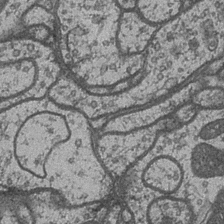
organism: Drosophila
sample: Optic medulla